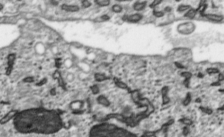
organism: Toxoplasma gondii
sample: Parasites in a vacuole inside a host cell